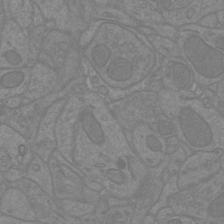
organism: Mouse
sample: Cortical neurons